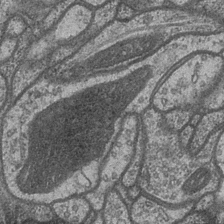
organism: Drosophila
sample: Optic medulla